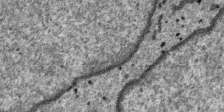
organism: Human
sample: Lung epithelial cells, uninfected (mock) control